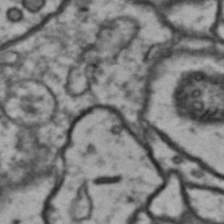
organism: Drosophila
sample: Brain